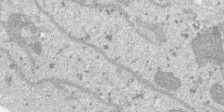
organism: Human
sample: Lung epithelial cells infected with SARS-CoV-2